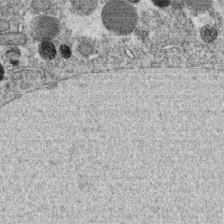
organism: C. elegans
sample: C. elegans oocyte; sperm cells